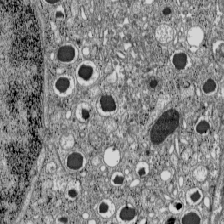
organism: C57BL Mouse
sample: Pancreatic islet